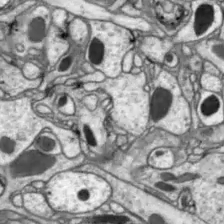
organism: Drosophila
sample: Optic lobe